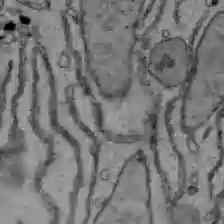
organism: C57BL Mouse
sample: Liver